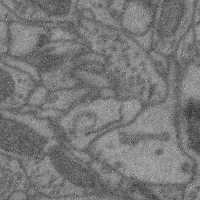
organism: Mouse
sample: Cerebral cortex